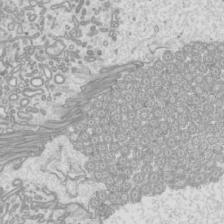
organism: Mouse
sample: Cilia; mouse epididymis